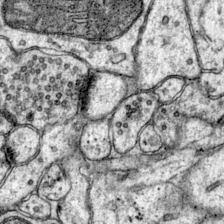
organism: Mouse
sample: Primary visual cortex